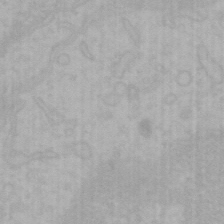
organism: Mouse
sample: Choroid plexus